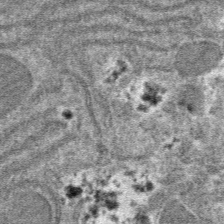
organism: Mouse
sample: Mouse hepatocytes